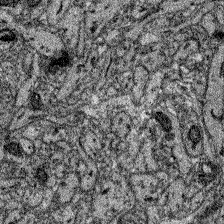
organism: Zebrafish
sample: Larval olfactory bulb